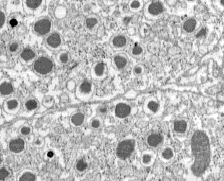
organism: C57BL Mouse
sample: Pancreatic islet